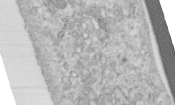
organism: Human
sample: Centriole in RPE cells